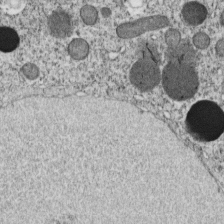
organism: C. elegans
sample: C. elegans embryo early stage